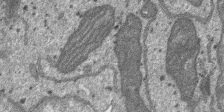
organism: Human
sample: Lung epithelial cells infected with SARS-CoV-2